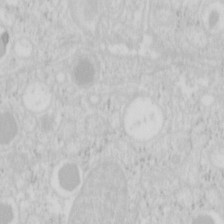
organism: Mouse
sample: Pancreas